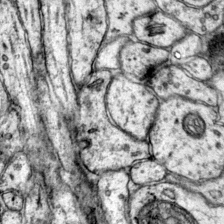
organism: Mouse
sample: Primary visual cortex